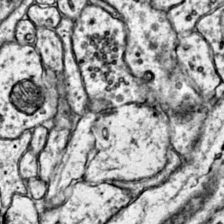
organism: Mouse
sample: Primary visual cortex